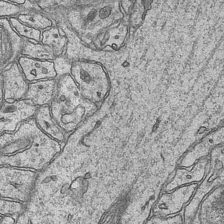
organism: Mouse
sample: CA1 Hippocampus